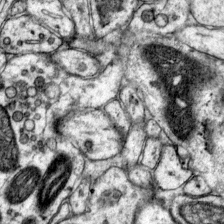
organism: Mouse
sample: Primary visual cortex